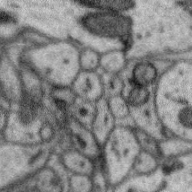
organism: Zebra finch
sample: Brain